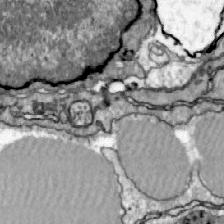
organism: Zebrafish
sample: Actinotrichia fibers